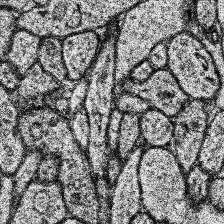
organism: Human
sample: Temporal Lobe